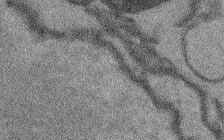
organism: Arabidopsis thaliana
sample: Root tip